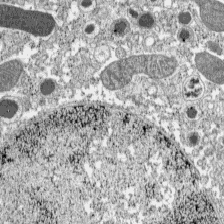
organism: C57BL Mouse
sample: Pancreatic islet